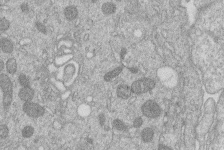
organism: Human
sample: Macrophage cells